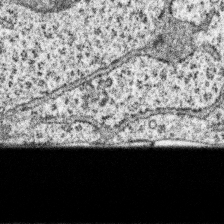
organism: Human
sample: HeLa cells